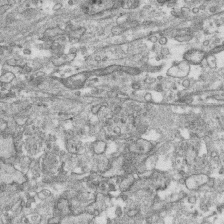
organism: Human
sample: CRL-1474